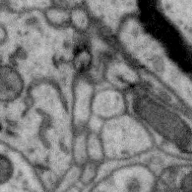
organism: Zebra finch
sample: Brain